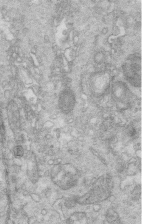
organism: Mouse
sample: Multiciliated cells